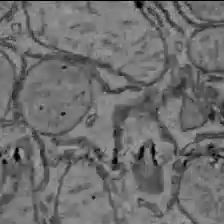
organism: C57BL Mouse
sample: Liver